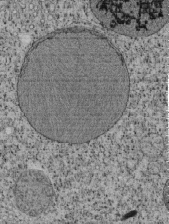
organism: Tetrahymena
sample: Cilia in tetrahymena